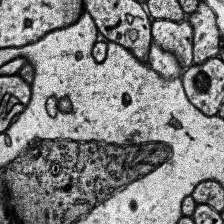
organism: Human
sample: Temporal Lobe